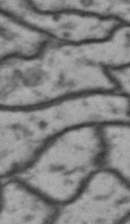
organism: Drosophila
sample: Brain